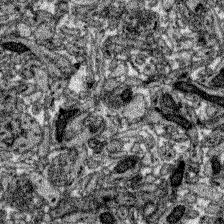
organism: Zebrafish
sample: Larval olfactory bulb